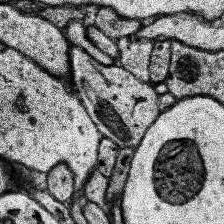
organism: Human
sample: Temporal Lobe